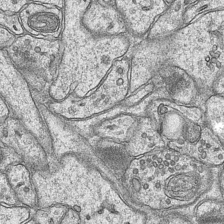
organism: Mouse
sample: CA1 Hippocampus